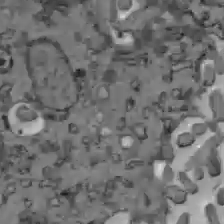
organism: C57BL Mouse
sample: Liver